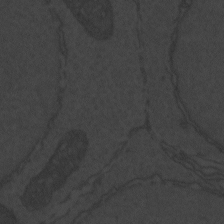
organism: Zebrafish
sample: Macrophage infected with Toxoplasma gondii